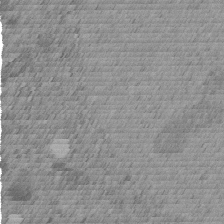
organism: C. elegans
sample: C. elegans embryo early stage